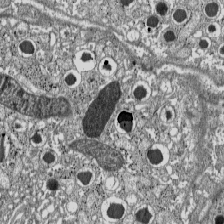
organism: C57BL Mouse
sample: Pancreatic islet